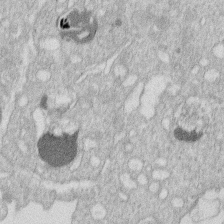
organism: Human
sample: Macrophage cells